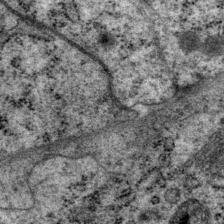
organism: P. pacificus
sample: Pharynx